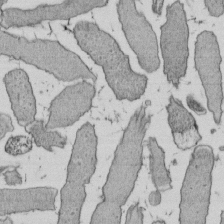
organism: E. coli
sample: Bacterial nucleoid